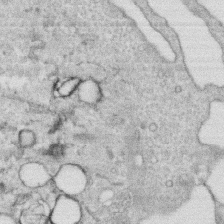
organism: Human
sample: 1205lu cells